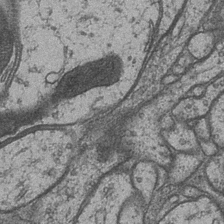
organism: Drosophila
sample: Optic medulla